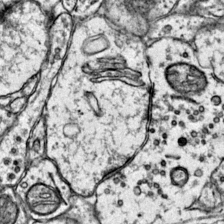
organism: Mouse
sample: Primary visual cortex